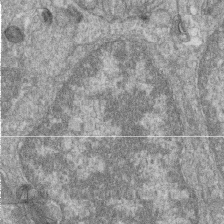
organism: Zebrafish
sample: Cilia; retinal pigment epithelium